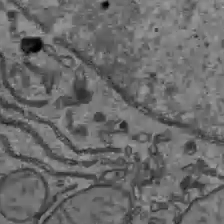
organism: C57BL Mouse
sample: Liver